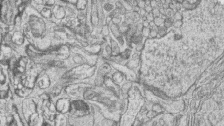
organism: Zebrafish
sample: synaptic ribbons in rod cells and cone cells